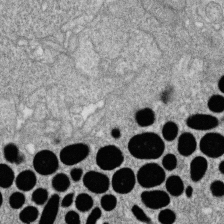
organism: Zebrafish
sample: Cilia; retinal pigment epithelium